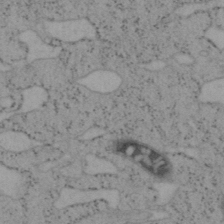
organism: Mouse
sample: OT-I killer T cells with ID8 ovarian cancer cells